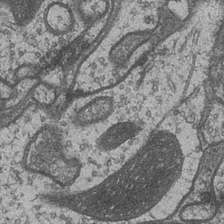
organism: Drosophila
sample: Optic medulla